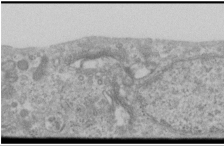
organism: Human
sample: Cilia; basal body in RPE cells